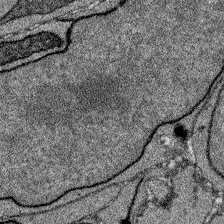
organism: Zebrafish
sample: Larval olfactory bulb